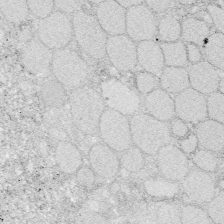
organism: Zebrafish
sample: Whole-Brain